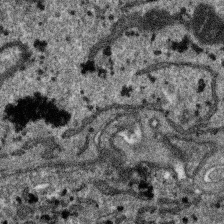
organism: Human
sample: Lung epithelial cells infected with SARS-CoV-2